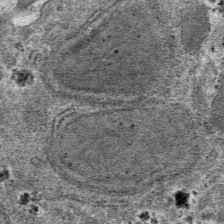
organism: Mouse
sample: Mouse hepatocytes